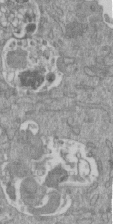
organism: Mouse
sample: ED-1 cell nuclei; centrioles